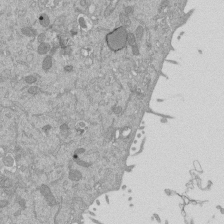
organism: Mouse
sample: ED-1 cell nuclei; centrioles